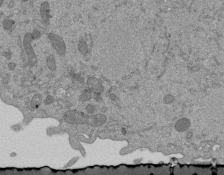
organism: Mouse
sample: ED-1 cell nuclei; centrioles